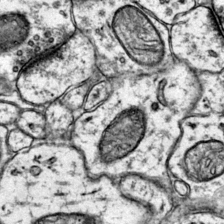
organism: Mouse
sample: Primary visual cortex